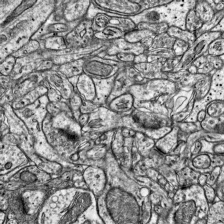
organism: Mouse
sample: Visual Cortex